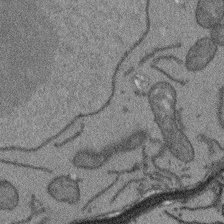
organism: Arabidopsis thaliana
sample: Root tip